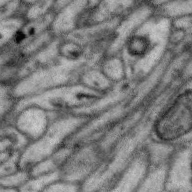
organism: Zebra finch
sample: Brain